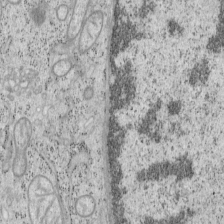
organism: Mouse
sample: OT-I killer T cells with ID8 ovarian cancer cells